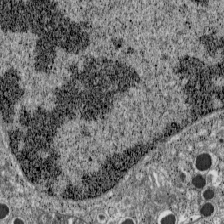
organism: C57BL Mouse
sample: Pancreatic islet